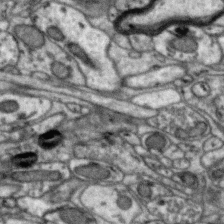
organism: Zebra finch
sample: Brain